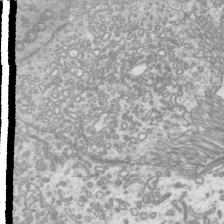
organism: Mouse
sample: Cilia; mouse epididymis